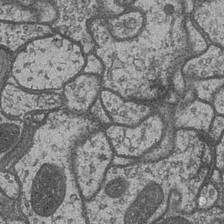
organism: Drosophila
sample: Optic medulla